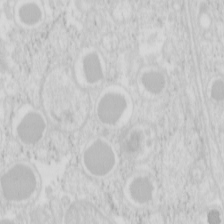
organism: Mouse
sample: Pancreas